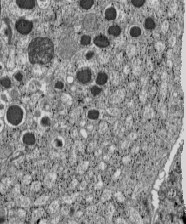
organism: C57BL Mouse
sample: Pancreatic islet